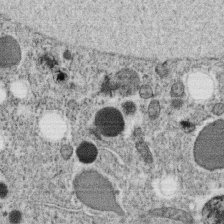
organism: C. elegans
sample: C. elegans oocyte; sperm cells